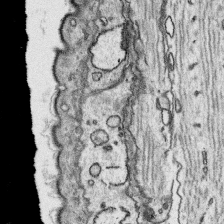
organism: Platynereis dumerilii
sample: Parapodia